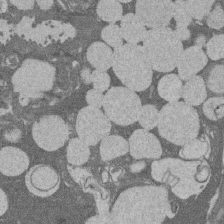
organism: Rat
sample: Salivary granule